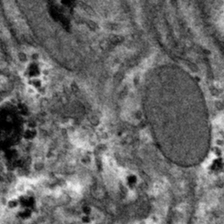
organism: Mouse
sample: Mouse hepatocytes